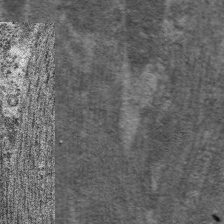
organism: C. elegans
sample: Pharynx